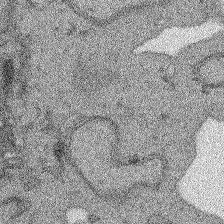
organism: Human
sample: HeLa cells